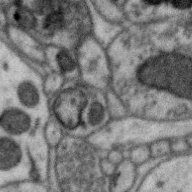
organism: Zebra finch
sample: Brain